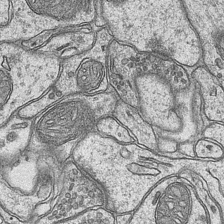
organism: Mouse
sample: CA1 Hippocampus